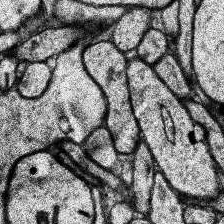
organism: Human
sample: Temporal Lobe